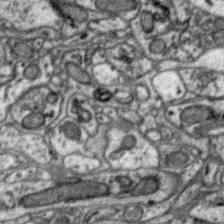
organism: Zebra finch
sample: Brain